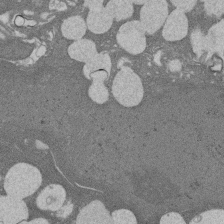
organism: Rat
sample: Salivary granule